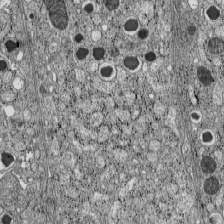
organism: C57BL Mouse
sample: Pancreatic islet